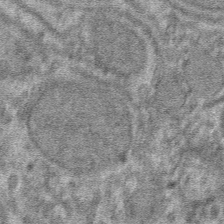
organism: Mouse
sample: Mouse hepatocytes